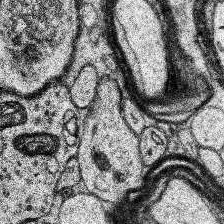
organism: Human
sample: Temporal Lobe